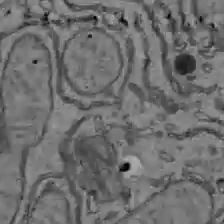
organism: C57BL Mouse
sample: Liver